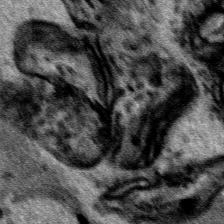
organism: Human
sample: Mitochondria in HCT116 cells